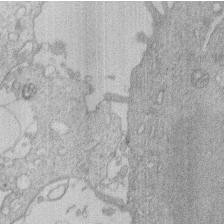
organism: Human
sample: Macrophage cells